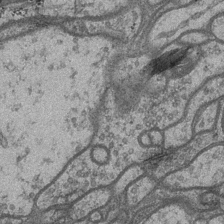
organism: Drosophila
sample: Optic medulla